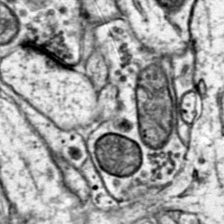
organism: Mouse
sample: Primary visual cortex